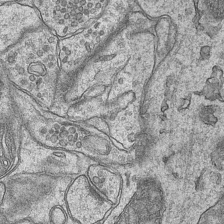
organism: Mouse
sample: CA1 Hippocampus